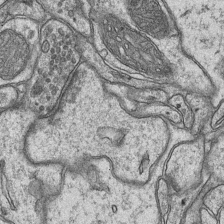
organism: Mouse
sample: CA1 Hippocampus